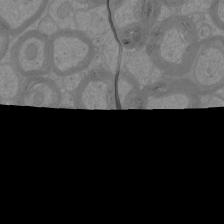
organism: Mouse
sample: Cortical neurons